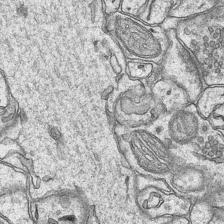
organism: Mouse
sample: CA1 Hippocampus